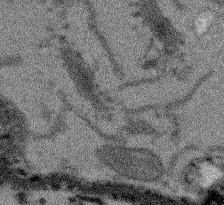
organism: Arabidopsis thaliana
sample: Root tip